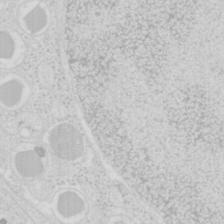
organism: Mouse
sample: Pancreas